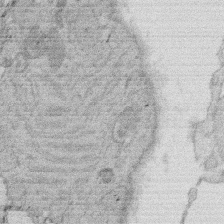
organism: Rat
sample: Salivary granule